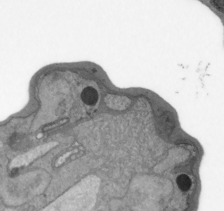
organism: Plasmodium falciparum